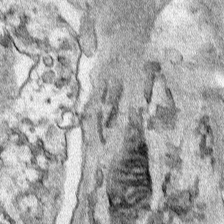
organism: Human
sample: Mitochondria in HCT116 cells